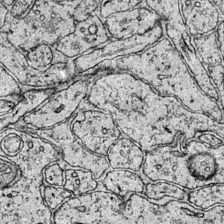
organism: Mouse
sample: Primary visual cortex